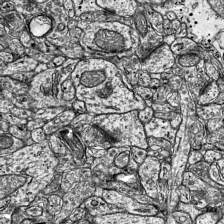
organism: Mouse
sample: Visual Cortex